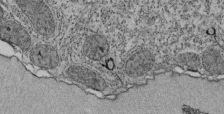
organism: Tetrahymena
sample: Cilia in tetrahymena